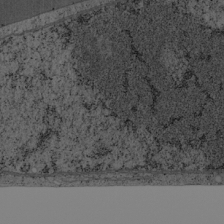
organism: African green monkey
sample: COS-7 cells